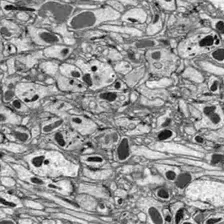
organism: Drosophila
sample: Optic lobe